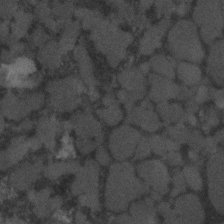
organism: C. elegans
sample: C. elegans embryo